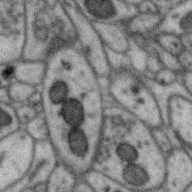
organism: Zebra finch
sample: Brain